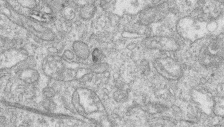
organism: Human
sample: HeLa cell HIV synapse